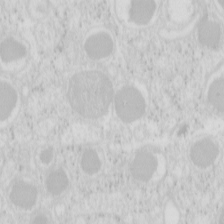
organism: Mouse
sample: Pancreas